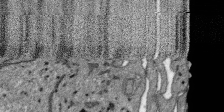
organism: Human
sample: Lung epithelial cells, uninfected (mock) control